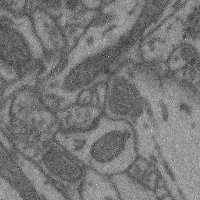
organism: Mouse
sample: Cerebral cortex